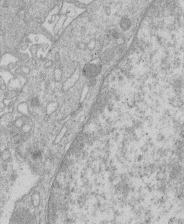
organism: Human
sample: Macrophage cells